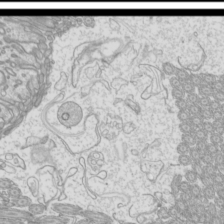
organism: Mouse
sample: Cilia; mouse epididymis